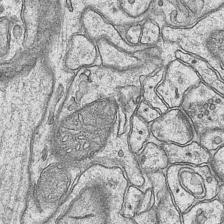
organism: Mouse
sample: CA1 Hippocampus